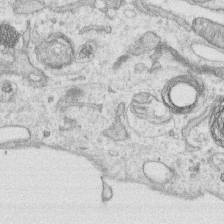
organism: Human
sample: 1205lu cells